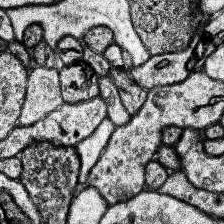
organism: Human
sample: Temporal Lobe